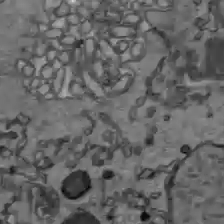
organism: C57BL Mouse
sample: Liver